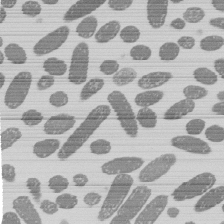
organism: E. coli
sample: Bacterial nucleoid